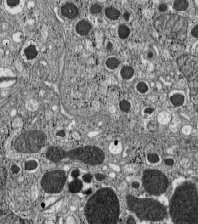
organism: C57BL Mouse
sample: Pancreatic islet